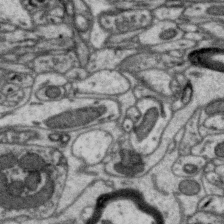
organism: Zebra finch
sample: Brain